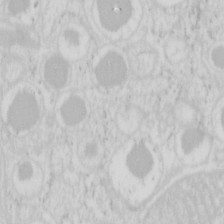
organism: Mouse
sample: Pancreas